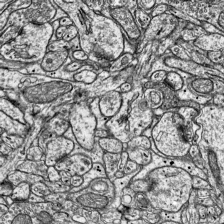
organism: Mouse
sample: Visual Cortex